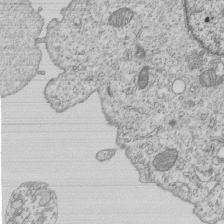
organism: Human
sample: MDA-MB-231 cells